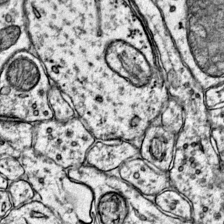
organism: Mouse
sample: Primary visual cortex